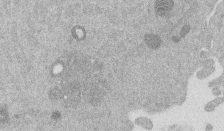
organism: Mouse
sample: Dividing mouse embryo 1 cell stage